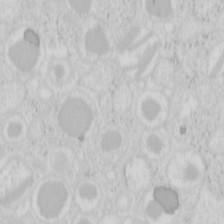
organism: Mouse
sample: Pancreas